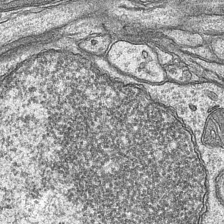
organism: Mouse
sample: CA1 Hippocampus